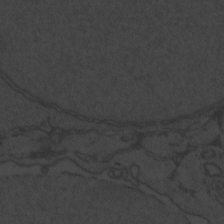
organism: Zebrafish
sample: Macrophage infected with Toxoplasma gondii